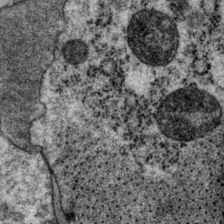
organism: P. pacificus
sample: Pharynx